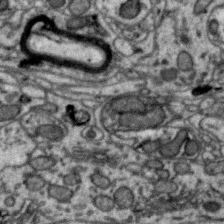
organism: Zebra finch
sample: Brain